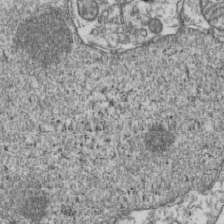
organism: Human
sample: Activated Jurkat CD4+ T cells